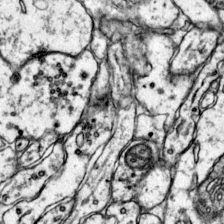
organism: Mouse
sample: Primary visual cortex